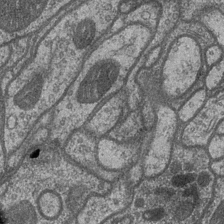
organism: Drosophila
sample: Optic medulla